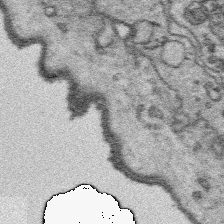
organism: Platynereis dumerilii